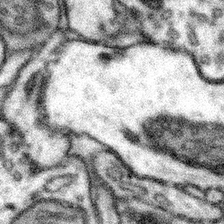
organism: Mouse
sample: Somatosensory cortex neuropil